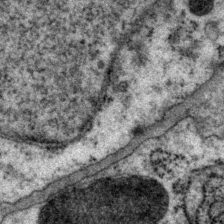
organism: P. pacificus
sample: Pharynx